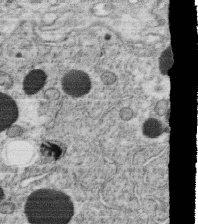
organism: C. elegans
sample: C. elegans oocyte; sperm cells